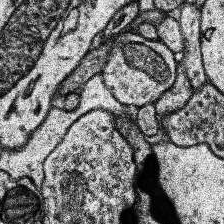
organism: Human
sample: Temporal Lobe